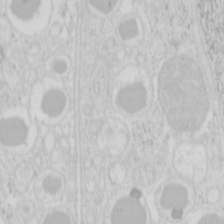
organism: Mouse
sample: Pancreas